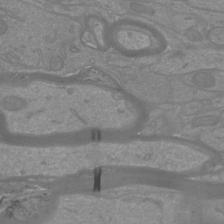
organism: Mouse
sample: Cortical neurons